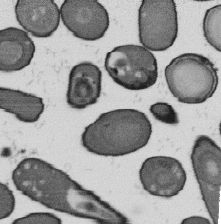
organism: B. subtilis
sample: Bacterial spore